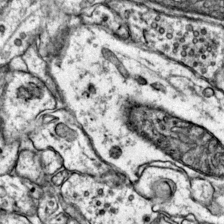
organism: Mouse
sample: Primary visual cortex